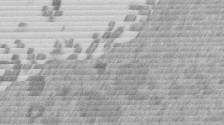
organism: Mouse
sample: Dividing mouse embryo 1 cell stage